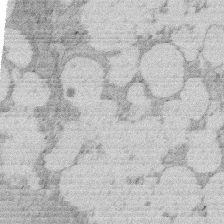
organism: Rat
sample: Salivary granule